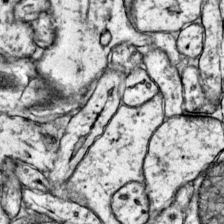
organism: Mouse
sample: Primary visual cortex